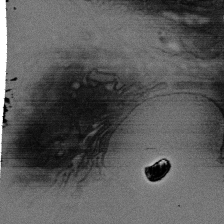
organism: Rat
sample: Salivary granule